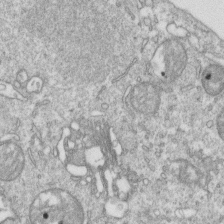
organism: Mouse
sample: Activated OT-1 CD8+ T cells